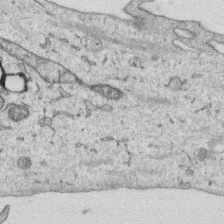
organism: Human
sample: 1205lu cells